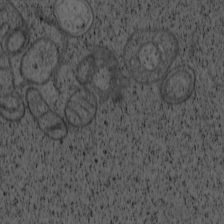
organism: African green monkey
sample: COS-7 cells